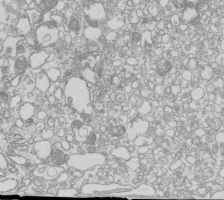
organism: Mouse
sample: Macrophages